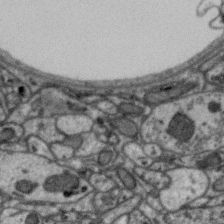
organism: Zebra finch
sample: Brain